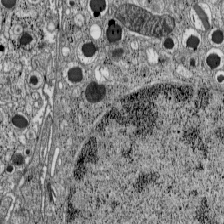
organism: C57BL Mouse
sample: Pancreatic islet